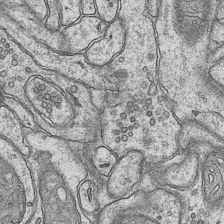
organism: Mouse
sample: CA1 Hippocampus